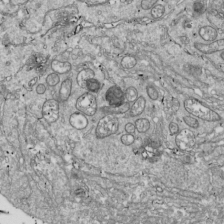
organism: Drosophila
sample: Cell division; meiosis; drosophila spermatocytes